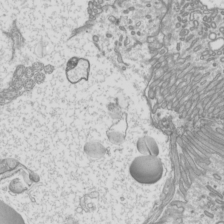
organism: Mouse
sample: Cilia; mouse epididymis